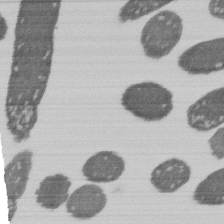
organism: E. coli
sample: Bacterial nucleoid